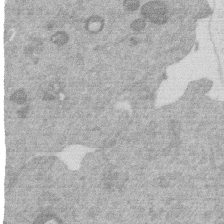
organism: Mouse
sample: Dividing mouse embryo 1 cell stage